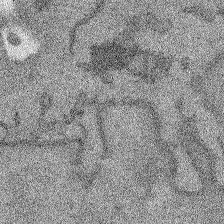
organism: Human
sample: HeLa cells